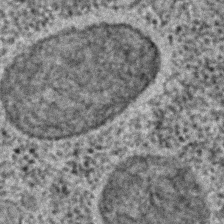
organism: C. elegans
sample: C. elegans embryo